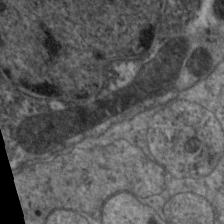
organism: C. elegans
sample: Pharynx